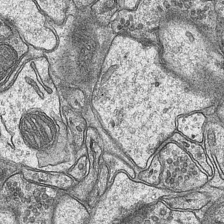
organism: Mouse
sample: CA1 Hippocampus